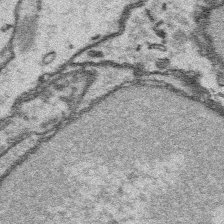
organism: Platynereis dumerilii